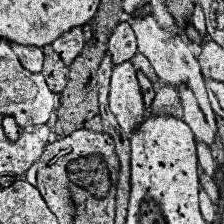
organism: Human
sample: Temporal Lobe